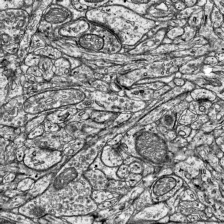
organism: Mouse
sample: Visual Cortex